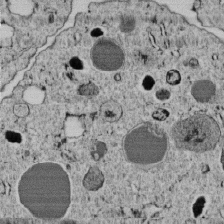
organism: C. elegans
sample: C. elegans embryo early stage